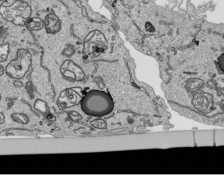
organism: Human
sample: Mitochondria in HCT116 cells